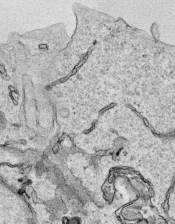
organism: Human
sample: Mitochondria in HCT116 cells